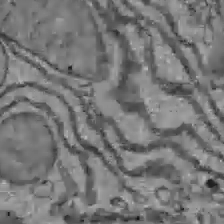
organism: C57BL Mouse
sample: Liver